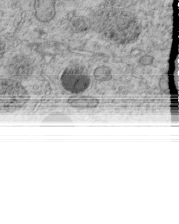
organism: C. elegans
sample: C. elegans embryo early stage